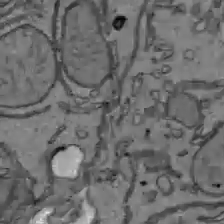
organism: C57BL Mouse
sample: Liver